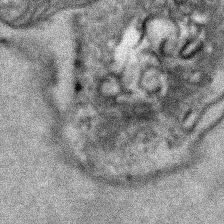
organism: Human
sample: Mitochondria in HCT116 cells